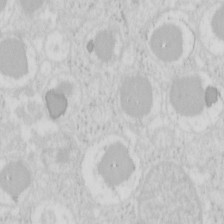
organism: Mouse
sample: Pancreas